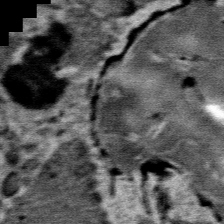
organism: Mouse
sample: Mouse Salivary gland